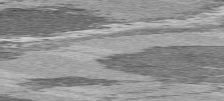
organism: C57BL Mouse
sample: Heart